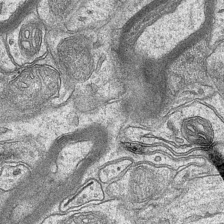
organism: Mouse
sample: CA1 Hippocampus